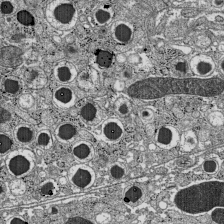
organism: C57BL Mouse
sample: Pancreatic islet